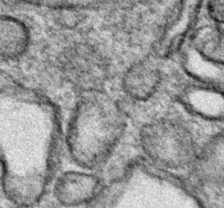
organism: Zebrafish